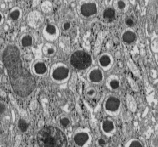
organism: C57BL Mouse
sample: Pancreatic islet